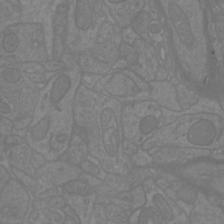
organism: Mouse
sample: Cortical neurons